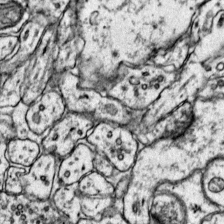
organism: Mouse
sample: Primary visual cortex